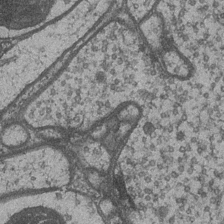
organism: Drosophila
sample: Optic medulla